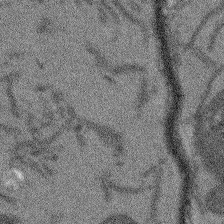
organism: Arabidopsis thaliana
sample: Root tip